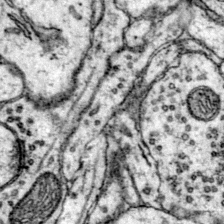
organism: Mouse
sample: Primary visual cortex